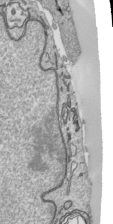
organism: Human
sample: Mitochondria in HCT116 cells